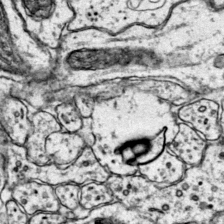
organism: Mouse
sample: Primary visual cortex